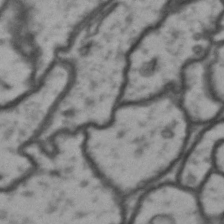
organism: Drosophila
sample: Brain